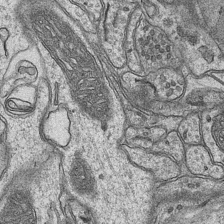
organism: Mouse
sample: CA1 Hippocampus